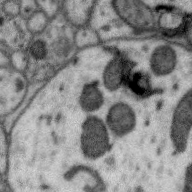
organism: Zebra finch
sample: Brain